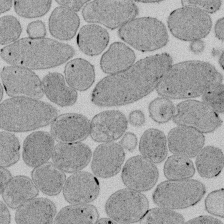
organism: E. coli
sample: Bacterial nucleoid